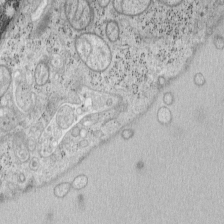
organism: Mouse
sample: OT-I killer T cells with ID8 ovarian cancer cells